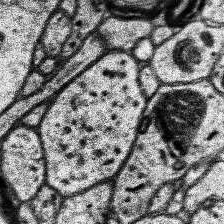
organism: Human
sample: Temporal Lobe